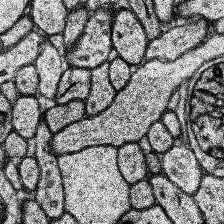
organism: Human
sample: Temporal Lobe